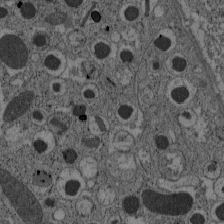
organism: C57BL Mouse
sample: Pancreatic islet